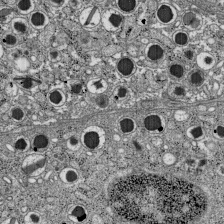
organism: C57BL Mouse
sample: Pancreatic islet